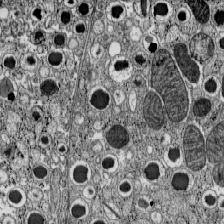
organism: C57BL Mouse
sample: Pancreatic islet